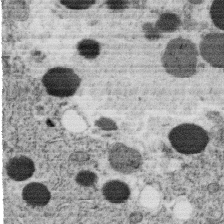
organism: C. elegans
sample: C. elegans oocyte; sperm cells